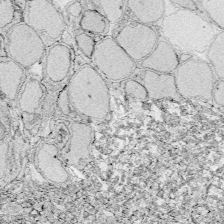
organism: Zebrafish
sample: Whole-Brain